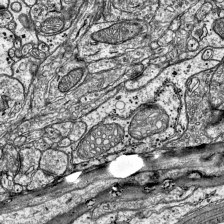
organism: Mouse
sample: Visual Cortex